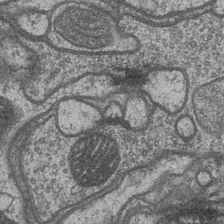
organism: Drosophila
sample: Optic medulla